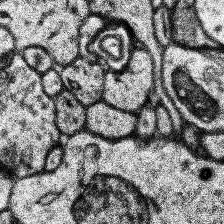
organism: Human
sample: Temporal Lobe